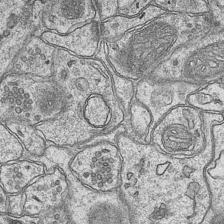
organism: Mouse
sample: CA1 Hippocampus